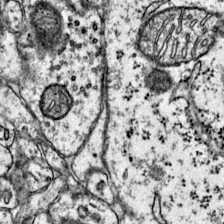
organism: Mouse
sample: Primary visual cortex